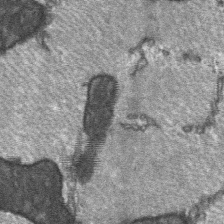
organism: C57BL Mouse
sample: Soleus